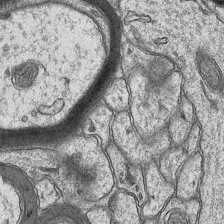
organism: Mouse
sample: CA1 Hippocampus